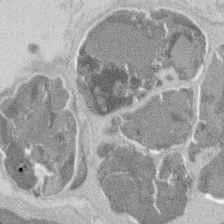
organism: Mouse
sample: T cell stromal cell synapse